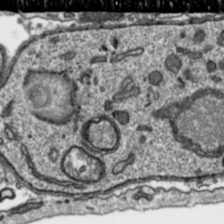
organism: Toxoplasma gondii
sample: Parasites in a vacuole inside a host cell